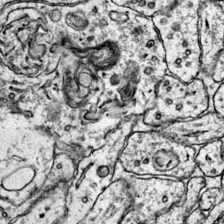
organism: Mouse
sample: Primary visual cortex